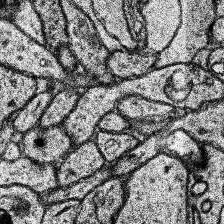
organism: Human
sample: Temporal Lobe